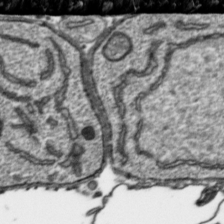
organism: Toxoplasma gondii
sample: Parasites in a vacuole inside a host cell